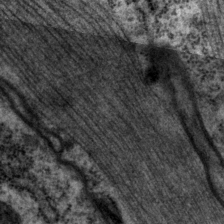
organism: P. pacificus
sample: Pharynx